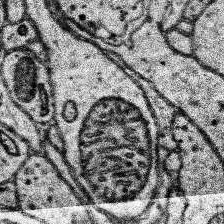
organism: Human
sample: Temporal Lobe